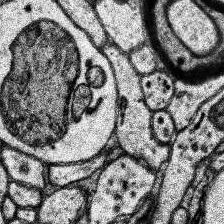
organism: Human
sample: Temporal Lobe